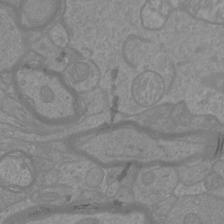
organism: Mouse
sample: Cortical neurons